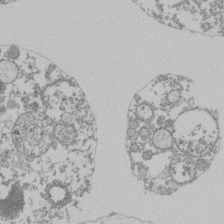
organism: Mouse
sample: Activated Pmel transgenic CD8+ T Cells